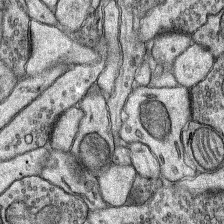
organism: Rat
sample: Hippocampus